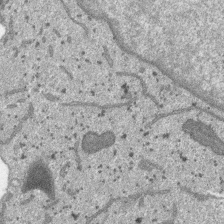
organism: Human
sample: Lung epithelial cells infected with SARS-CoV-2